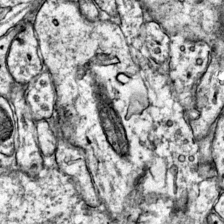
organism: Mouse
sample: Primary visual cortex